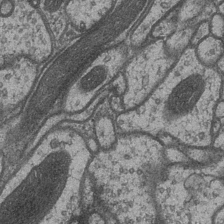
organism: Drosophila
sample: Optic medulla